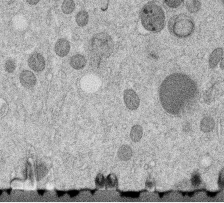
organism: C. elegans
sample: C. elegans embryo early stage